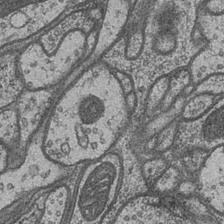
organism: Drosophila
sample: Optic medulla